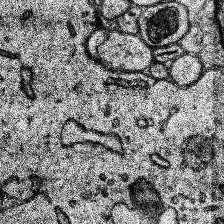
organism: Human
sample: Temporal Lobe